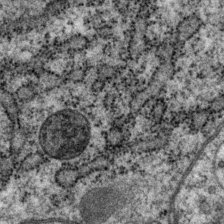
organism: P. pacificus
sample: Pharynx